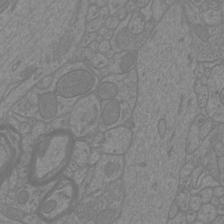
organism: Mouse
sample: Cortical neurons